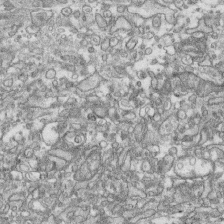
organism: Human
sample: CRL-1474